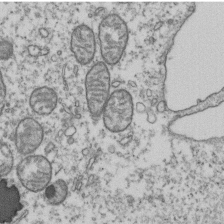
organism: Human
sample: Activated Jurkat CD4+ T cells